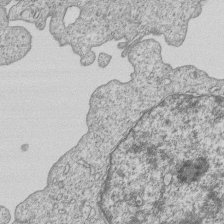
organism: Human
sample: MDA-MB-231 cells